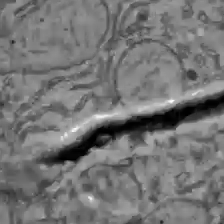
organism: C57BL Mouse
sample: Liver